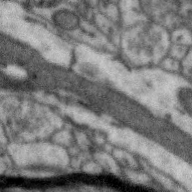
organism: Zebra finch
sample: Brain